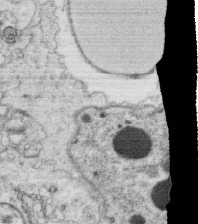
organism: C. elegans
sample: C. elegans oocyte; sperm cells